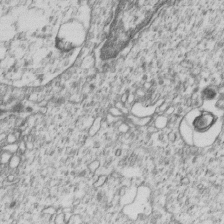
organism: Human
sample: MDA-MB-231 cells